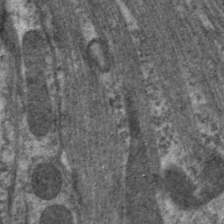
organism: C. elegans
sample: Pharynx